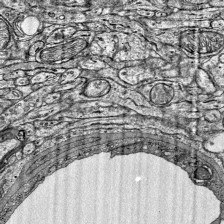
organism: Mouse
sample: Visual Cortex